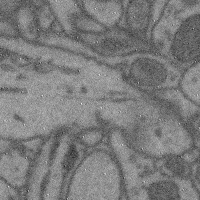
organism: Mouse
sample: Cerebral cortex